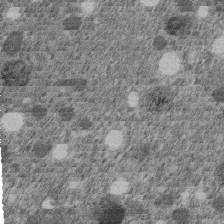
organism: C. elegans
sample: C. elegans embryo early stage